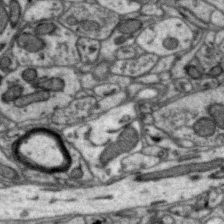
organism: Zebra finch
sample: Brain